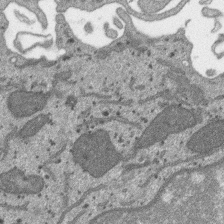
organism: Human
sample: Lung epithelial cells infected with SARS-CoV-2